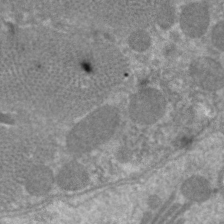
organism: C. elegans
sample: Pharynx